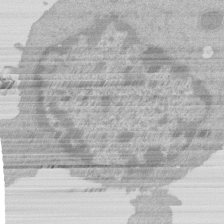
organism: Mouse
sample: Activated Pmel transgenic CD8+ T Cells